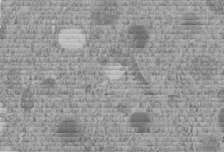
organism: C. elegans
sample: C. elegans embryo early stage